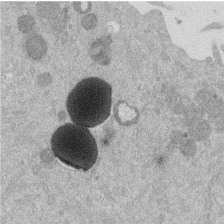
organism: Mouse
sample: Dividing mouse embryo 1 cell stage